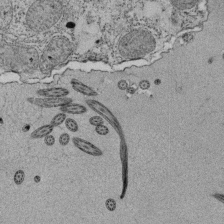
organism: Tetrahymena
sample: Cilia in tetrahymena